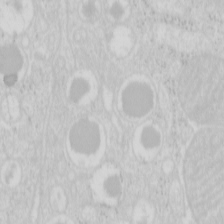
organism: Mouse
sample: Pancreas